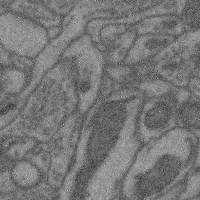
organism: Mouse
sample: Cerebral cortex